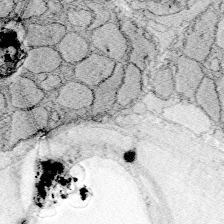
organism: Zebrafish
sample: Whole-Brain